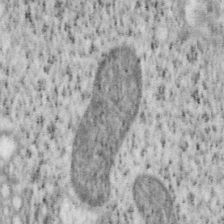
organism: Mouse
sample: OT-I killer T cells with ID8 ovarian cancer cells